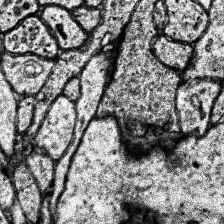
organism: Human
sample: Temporal Lobe